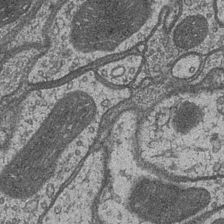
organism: Drosophila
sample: Optic medulla